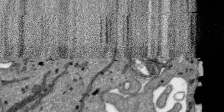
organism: Human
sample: Lung epithelial cells, uninfected (mock) control